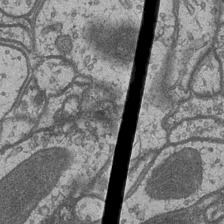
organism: Drosophila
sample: Optic medulla